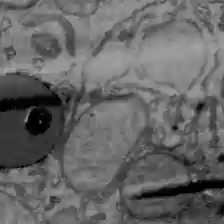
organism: C57BL Mouse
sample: Liver